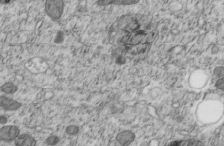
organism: C. elegans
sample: C. elegans embryo early stage